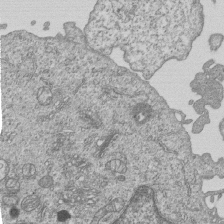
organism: Human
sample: MDA-MB-231 cells